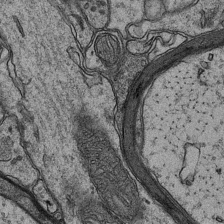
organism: Mouse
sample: CA1 Hippocampus